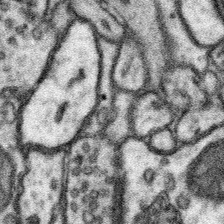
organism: Mouse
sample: Somatosensory cortex neuropil